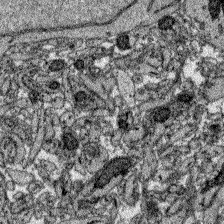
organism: Zebrafish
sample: Larval olfactory bulb